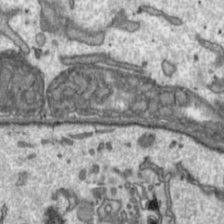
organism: Toxoplasma gondii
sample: Parasites in a vacuole inside a host cell